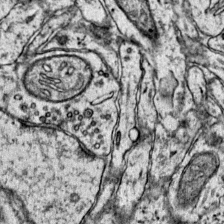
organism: Mouse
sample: Primary visual cortex